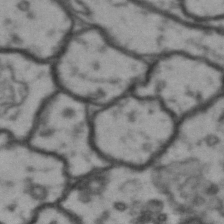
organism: Drosophila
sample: Brain